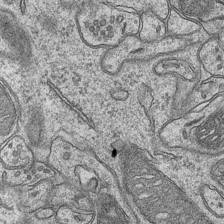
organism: Mouse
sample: CA1 Hippocampus